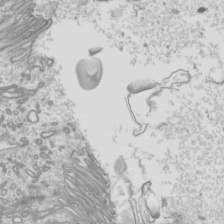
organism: Mouse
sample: Cilia; mouse epididymis